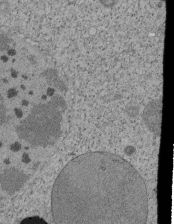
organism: Tetrahymena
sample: Cilia in tetrahymena